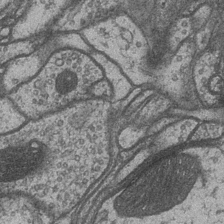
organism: Drosophila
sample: Optic medulla